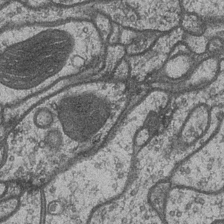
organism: Drosophila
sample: Optic medulla